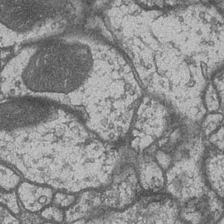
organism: Drosophila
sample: Optic medulla